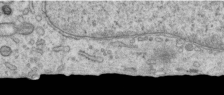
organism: Human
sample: Centriole in RPE cells